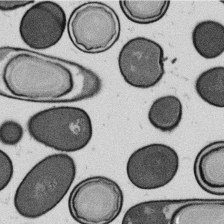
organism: B. subtilis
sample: Bacterial spore